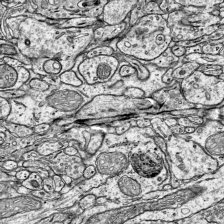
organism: Mouse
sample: Visual Cortex